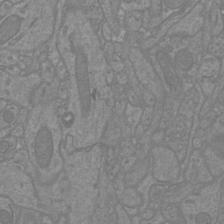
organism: Mouse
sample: Cortical neurons